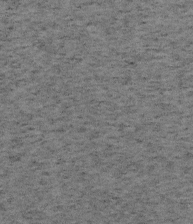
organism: Mouse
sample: OT-I killer T cells with ID8 ovarian cancer cells